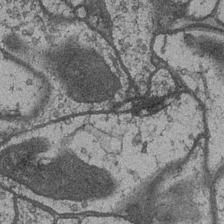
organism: Drosophila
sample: Optic medulla